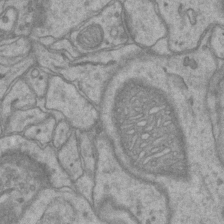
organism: Mouse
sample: CA1 Hippocampus